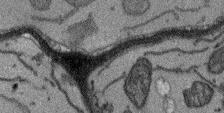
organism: Arabidopsis thaliana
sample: Root tip